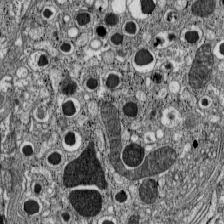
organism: C57BL Mouse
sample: Pancreatic islet